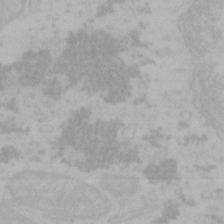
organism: Mouse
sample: Choroid plexus